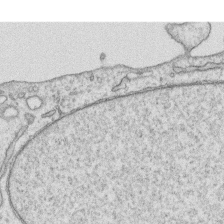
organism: Human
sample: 1205lu cells